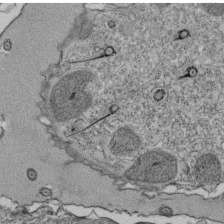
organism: Tetrahymena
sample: Cilia in tetrahymena